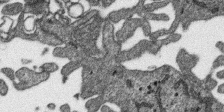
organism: Human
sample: Lung epithelial cells infected with SARS-CoV-2